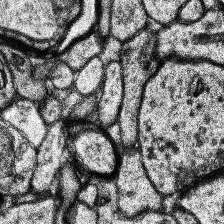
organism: Human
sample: Temporal Lobe